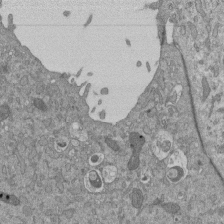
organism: Mouse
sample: ED-1 cell nuclei; centrioles